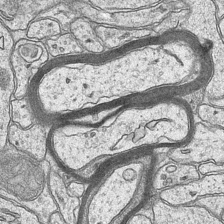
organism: Mouse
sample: CA1 Hippocampus